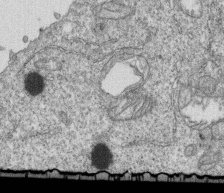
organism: Human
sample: HeLa cell HIV synapse